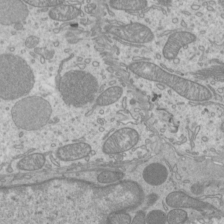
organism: Mouse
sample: Cilia; mouse epididymis